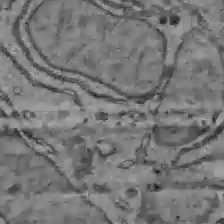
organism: C57BL Mouse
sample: Liver